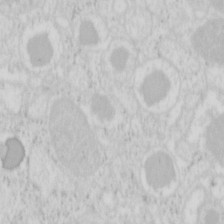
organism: Mouse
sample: Pancreas